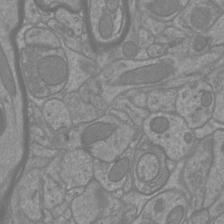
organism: Mouse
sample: Cortical neurons